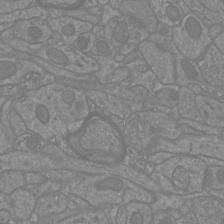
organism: Mouse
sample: Cortical neurons